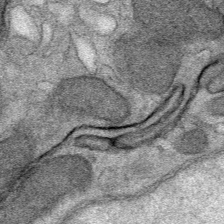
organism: Mouse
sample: Mouse Salivary gland